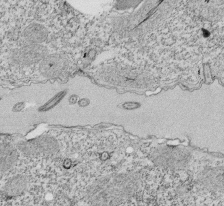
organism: Tetrahymena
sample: Cilia in tetrahymena